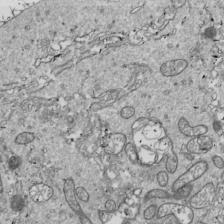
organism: Drosophila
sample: Cell division; meiosis; drosophila spermatocytes